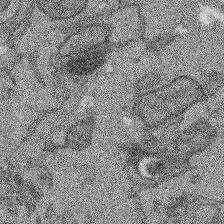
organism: Human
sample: HeLa cells